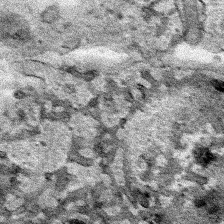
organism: Human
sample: Mitochondria in HCT116 cells